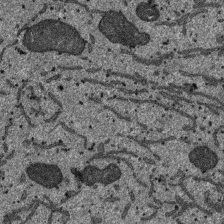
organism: Human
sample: Lung epithelial cells infected with SARS-CoV-2